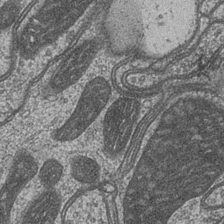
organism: Drosophila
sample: Optic medulla